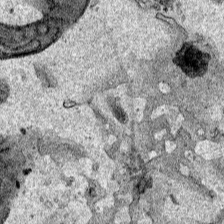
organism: Human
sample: Mitochondria in HCT116 cells